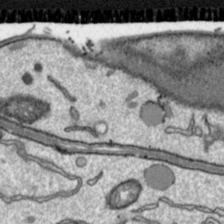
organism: Toxoplasma gondii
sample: Parasites in a vacuole inside a host cell